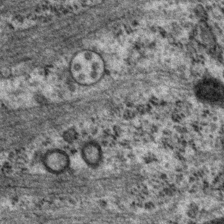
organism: P. pacificus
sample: Pharynx